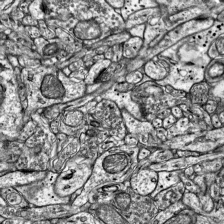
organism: Mouse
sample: Visual Cortex